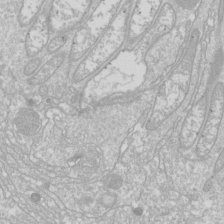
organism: Drosophila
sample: Cell division; meiosis; drosophila spermatocytes